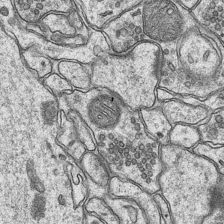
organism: Mouse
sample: CA1 Hippocampus